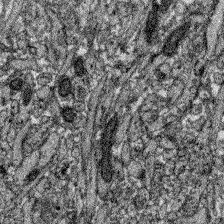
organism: Zebrafish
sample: Larval olfactory bulb